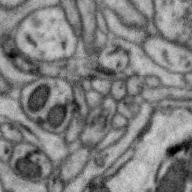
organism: Zebra finch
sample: Brain